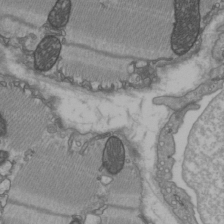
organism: C57BL Mouse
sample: Heart